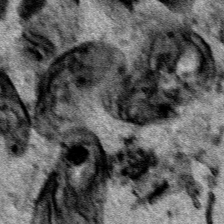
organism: Human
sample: Mitochondria in HCT116 cells